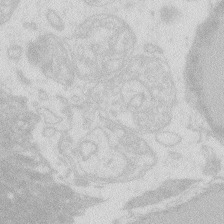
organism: Zebrafish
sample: Macrophage